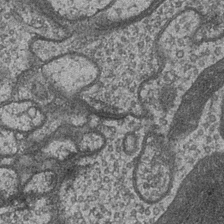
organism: Drosophila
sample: Optic medulla